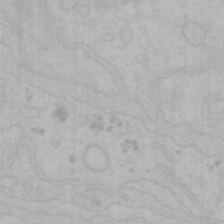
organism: Mouse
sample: Choroid plexus